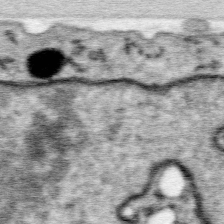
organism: Human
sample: HeLa cells